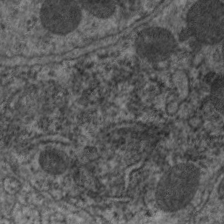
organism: C. elegans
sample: Pharynx